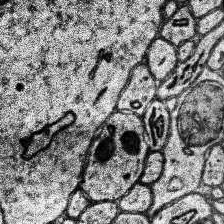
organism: Human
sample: Temporal Lobe